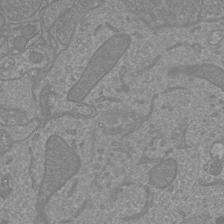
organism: Mouse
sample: Cortical neurons